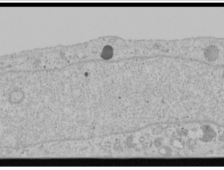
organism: Human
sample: Mitochondria in U2OS cells